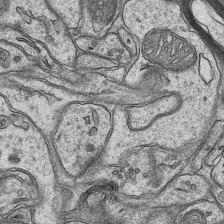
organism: Mouse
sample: CA1 Hippocampus